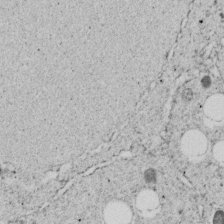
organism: C. elegans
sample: C. elegans embryo early stage